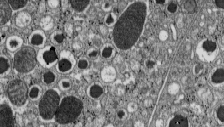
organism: C57BL Mouse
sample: Pancreatic islet